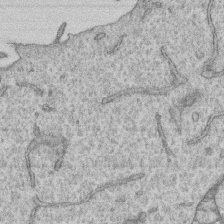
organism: Human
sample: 1205lu cells